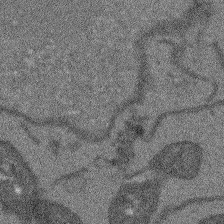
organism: Arabidopsis thaliana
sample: Root tip